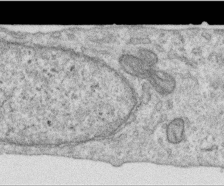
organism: Human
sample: Centriole in RPE cells